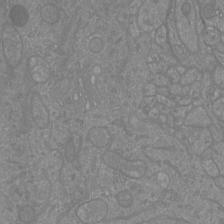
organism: Mouse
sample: Cortical neurons